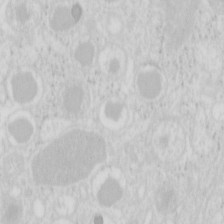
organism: Mouse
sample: Pancreas